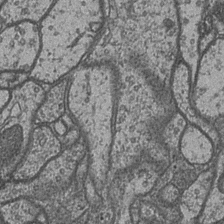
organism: Drosophila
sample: Optic medulla